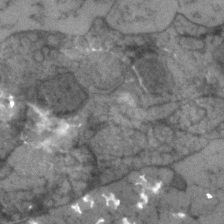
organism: Human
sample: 1205lu cells